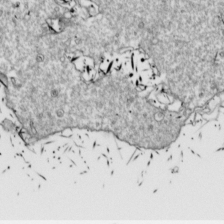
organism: Drosophila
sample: Cell division; meiosis; drosophila spermatocytes